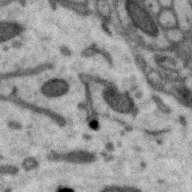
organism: Zebra finch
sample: Brain